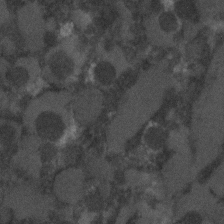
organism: C. elegans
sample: C. elegans embryo